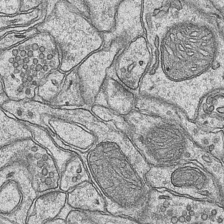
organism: Mouse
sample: CA1 Hippocampus